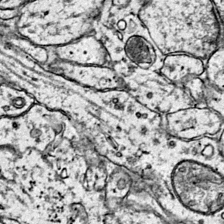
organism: Mouse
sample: Primary visual cortex